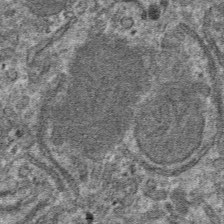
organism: Mouse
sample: Mouse hepatocytes